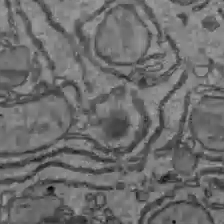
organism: C57BL Mouse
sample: Liver